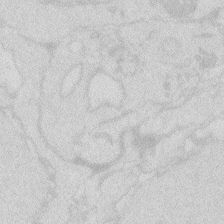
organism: Zebrafish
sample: Macrophage